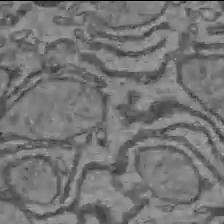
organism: C57BL Mouse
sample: Liver